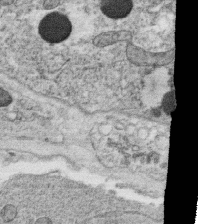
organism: C. elegans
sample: C. elegans oocyte; sperm cells